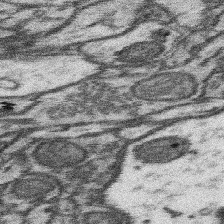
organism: Mouse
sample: Somatosensory cortex neuropil